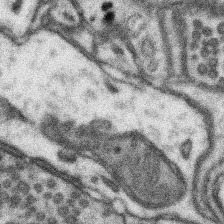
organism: Mouse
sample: Somatosensory cortex neuropil